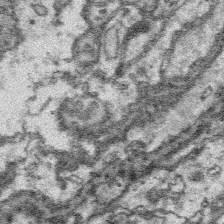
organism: Platynereis dumerilii